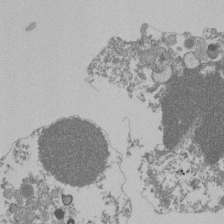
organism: Mouse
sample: Activated Pmel transgenic CD8+ T Cells